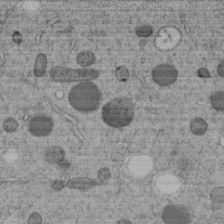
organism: C. elegans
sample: C. elegans embryo early stage